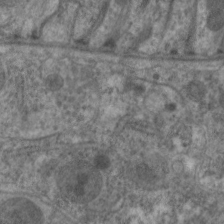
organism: C. elegans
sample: Pharynx